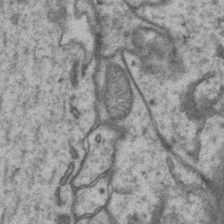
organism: Mouse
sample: CA1 Hippocampus